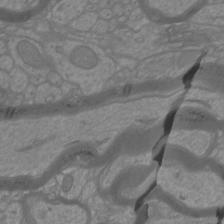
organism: Mouse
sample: Cortical neurons